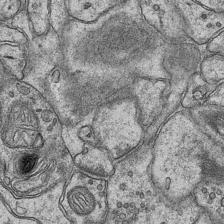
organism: Mouse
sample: CA1 Hippocampus